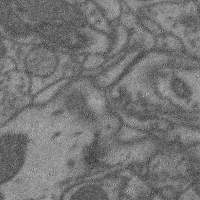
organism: Mouse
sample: Cerebral cortex